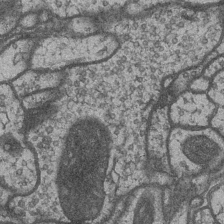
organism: Drosophila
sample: Optic medulla